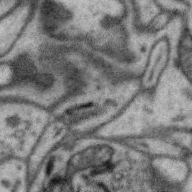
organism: Zebra finch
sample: Brain